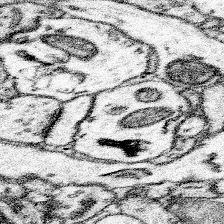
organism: Mouse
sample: Somatosensory cortex neuropil